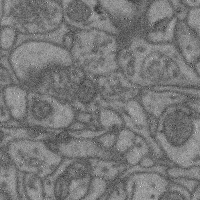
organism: Mouse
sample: Cerebral cortex